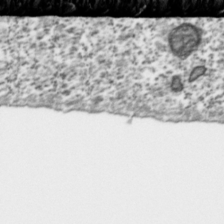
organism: Toxoplasma gondii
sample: Parasites in a vacuole inside a host cell